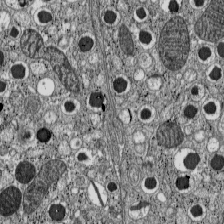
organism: C57BL Mouse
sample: Pancreatic islet